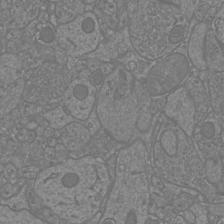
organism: Mouse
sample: Cortical neurons